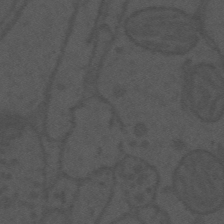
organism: Mouse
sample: Suprachiasmatic nucleus